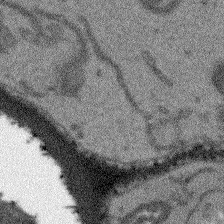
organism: Arabidopsis thaliana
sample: Root tip